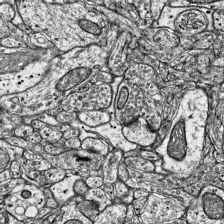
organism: Mouse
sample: Visual Cortex